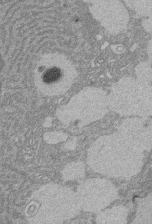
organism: Rat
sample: Salivary granule